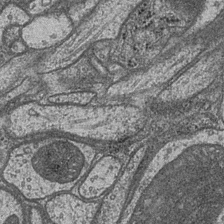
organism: Drosophila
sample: Optic medulla